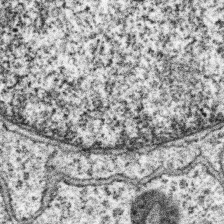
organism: Human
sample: HeLa cells